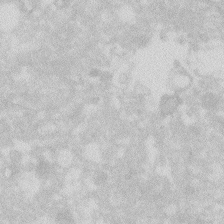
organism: Zebrafish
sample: Macrophage